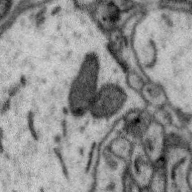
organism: Zebra finch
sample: Brain